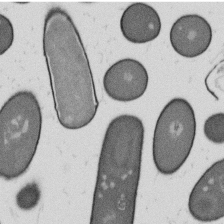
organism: B. subtilis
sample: Bacterial spore